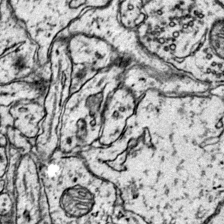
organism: Mouse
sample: Primary visual cortex